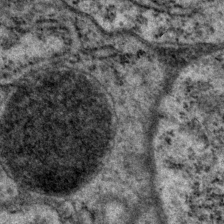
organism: P. pacificus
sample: Pharynx